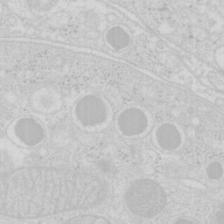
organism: Mouse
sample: Pancreas